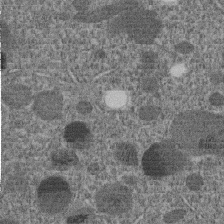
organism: C. elegans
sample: C. elegans embryo early stage